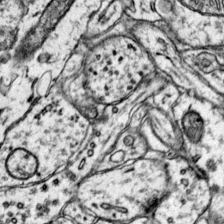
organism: Mouse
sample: Primary visual cortex